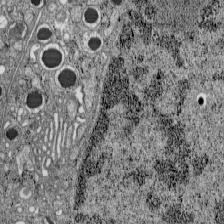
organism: C57BL Mouse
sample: Pancreatic islet